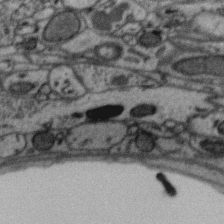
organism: Zebra finch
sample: Brain